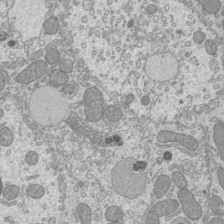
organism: Mouse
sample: Cilia; mouse epididymis